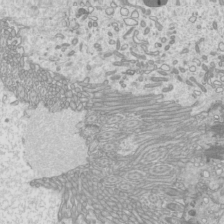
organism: Mouse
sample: Cilia; mouse epididymis